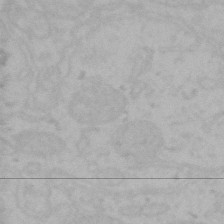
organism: Mouse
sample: Choroid plexus